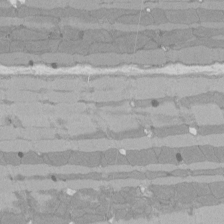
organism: Rat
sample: Left ventricle